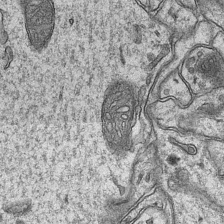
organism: Mouse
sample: CA1 Hippocampus